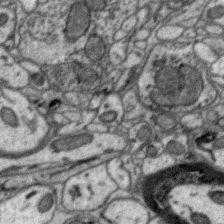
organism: Zebra finch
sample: Brain